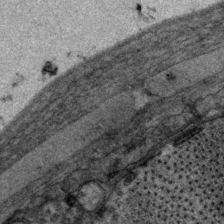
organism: P. pacificus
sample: Pharynx